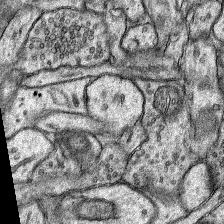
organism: Rat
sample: Hippocampus